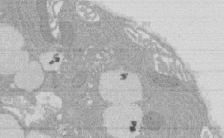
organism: Rat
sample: Salivary granule